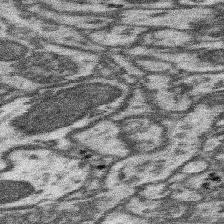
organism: Mouse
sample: Somatosensory cortex neuropil